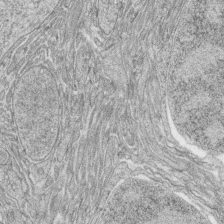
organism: Zebrafish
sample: synaptic ribbons in rod cells and cone cells